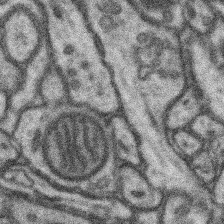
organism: Mouse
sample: Somatosensory cortex neuropil